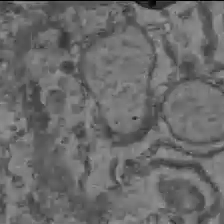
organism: C57BL Mouse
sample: Liver